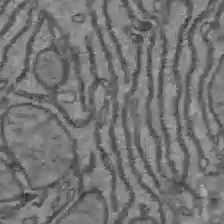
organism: C57BL Mouse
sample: Liver